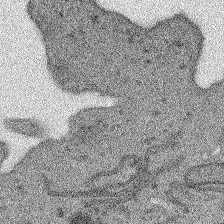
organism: Human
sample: HeLa cells